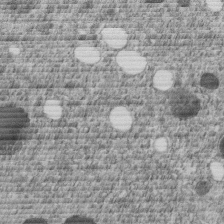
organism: C. elegans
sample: C. elegans embryo early stage